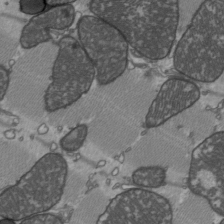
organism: C57BL Mouse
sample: Heart